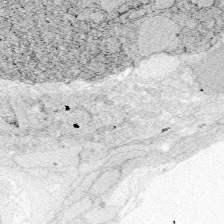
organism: Zebrafish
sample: Whole-Brain